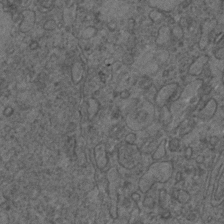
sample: Trachea